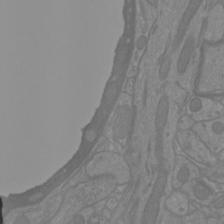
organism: Mouse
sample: Cortical neurons